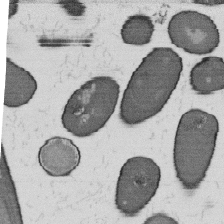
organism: B. subtilis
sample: Bacterial spore